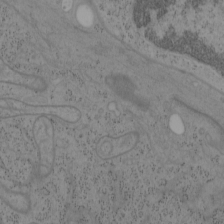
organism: Mouse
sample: OT-I killer T cells with ID8 ovarian cancer cells